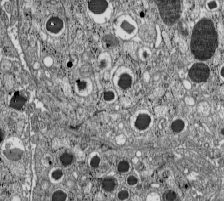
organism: C57BL Mouse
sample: Pancreatic islet